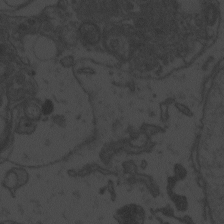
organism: Zebrafish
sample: Macrophage infected with Toxoplasma gondii